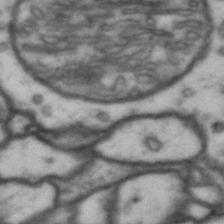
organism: Drosophila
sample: Brain